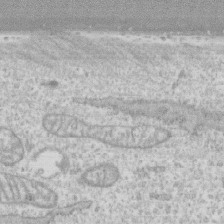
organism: Human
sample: CRL-1474